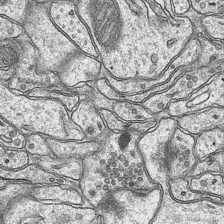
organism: Mouse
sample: CA1 Hippocampus